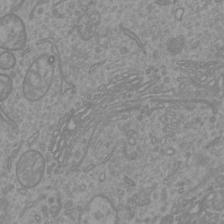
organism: Mouse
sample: Cortical neurons